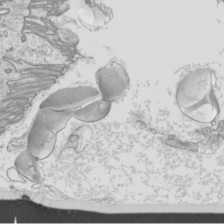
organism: Mouse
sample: Cilia; mouse epididymis